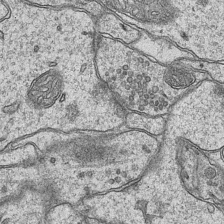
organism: Mouse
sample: CA1 Hippocampus